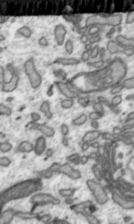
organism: Toxoplasma gondii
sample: Parasites in a vacuole inside a host cell